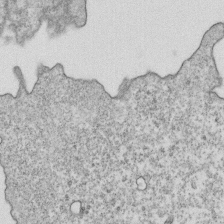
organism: Mouse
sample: Activated OT-1 CD8+ T cells